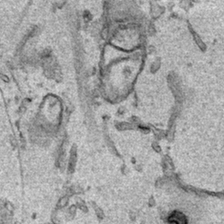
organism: Human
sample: Mitochondria in HCT116 cells